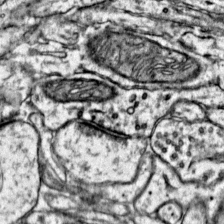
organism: Mouse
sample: Primary visual cortex